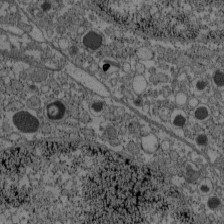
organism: C57BL Mouse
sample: Pancreatic islet